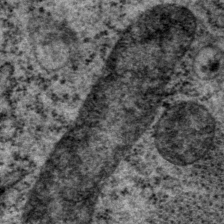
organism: P. pacificus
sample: Pharynx